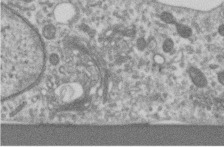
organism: Human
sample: Centriole in RPE cells